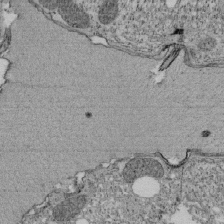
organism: Tetrahymena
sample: Cilia in tetrahymena